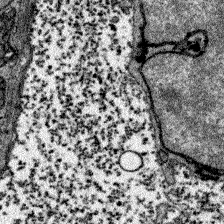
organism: Zebrafish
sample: Larval olfactory bulb